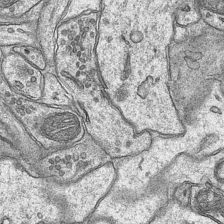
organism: Mouse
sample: CA1 Hippocampus